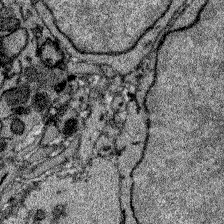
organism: Zebrafish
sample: Larval olfactory bulb